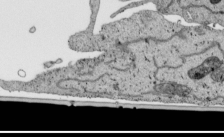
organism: Human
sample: Mitochondria in HCT116 cells